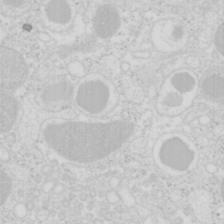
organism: Mouse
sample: Pancreas